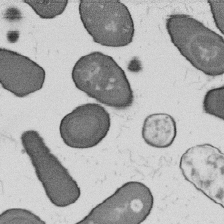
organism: B. subtilis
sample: Bacterial spore